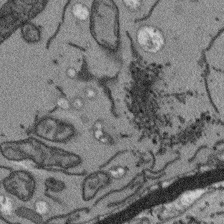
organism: Arabidopsis thaliana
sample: Root tip